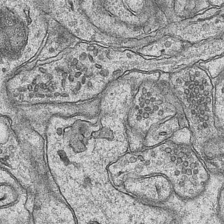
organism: Mouse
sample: CA1 Hippocampus